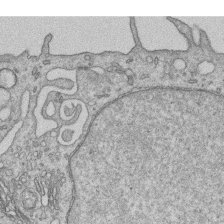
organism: Human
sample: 1205lu cells